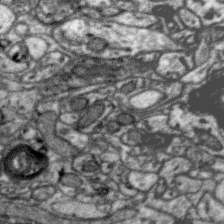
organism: Zebra finch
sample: Brain